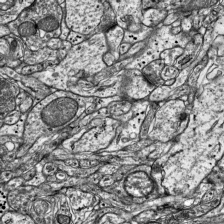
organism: Mouse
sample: Visual Cortex